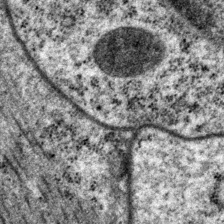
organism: P. pacificus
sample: Pharynx